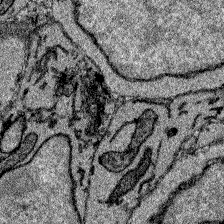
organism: Zebrafish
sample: Larval olfactory bulb